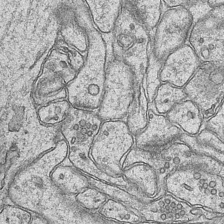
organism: Mouse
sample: CA1 Hippocampus